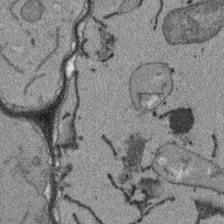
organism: Arabidopsis thaliana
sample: Root tip